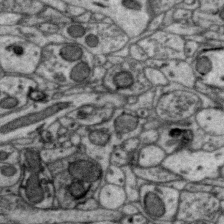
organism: Zebra finch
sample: Brain